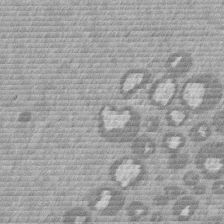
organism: Mouse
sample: Dividing mouse embryo 1 cell stage